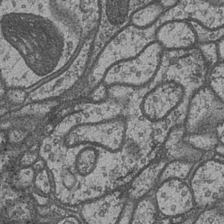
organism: Drosophila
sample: Optic medulla